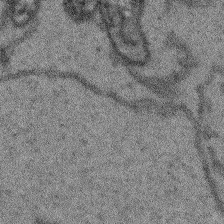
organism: Arabidopsis thaliana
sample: Root tip